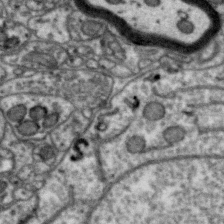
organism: Zebra finch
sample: Brain